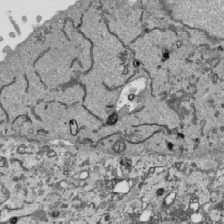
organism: Human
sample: Mitochondria in HCT116 cells